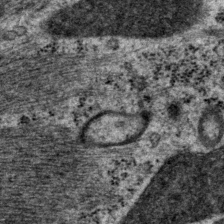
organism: P. pacificus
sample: Pharynx